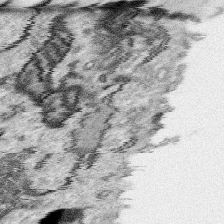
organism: Human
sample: HeLa cells